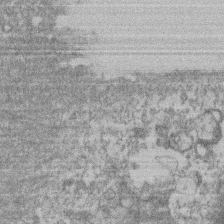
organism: Mouse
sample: T cell stromal cell synapse